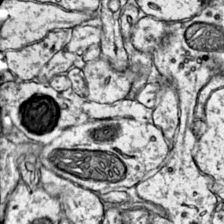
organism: Mouse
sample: Primary visual cortex